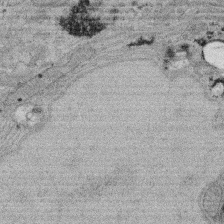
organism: Rat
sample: Salivary granule